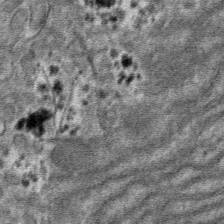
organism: Mouse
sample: Mouse hepatocytes